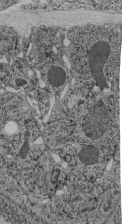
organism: C. elegans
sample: C. elegans pharynx